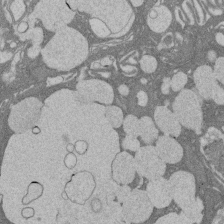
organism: Rat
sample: Salivary granule